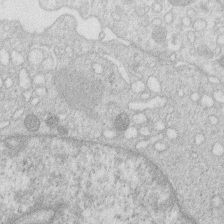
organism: Human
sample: Macrophage cells